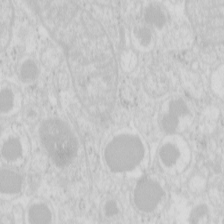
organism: Mouse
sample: Pancreas